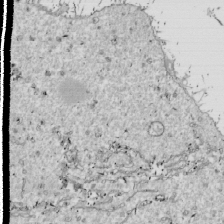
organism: Drosophila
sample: Cell division; meiosis; drosophila spermatocytes